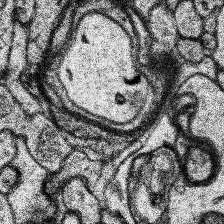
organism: Human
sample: Temporal Lobe